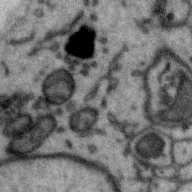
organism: Zebra finch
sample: Brain